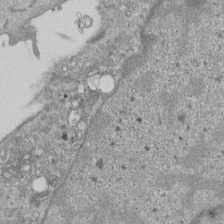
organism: Mouse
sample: ED-1 cell nuclei; centrioles